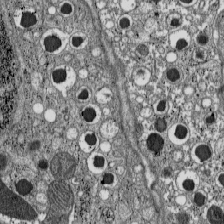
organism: C57BL Mouse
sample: Pancreatic islet